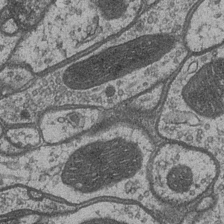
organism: Drosophila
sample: Optic medulla